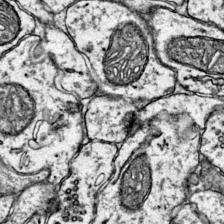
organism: Mouse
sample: Primary visual cortex